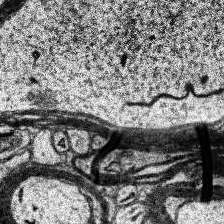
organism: Human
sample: Temporal Lobe